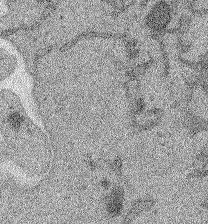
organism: Human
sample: HeLa cells